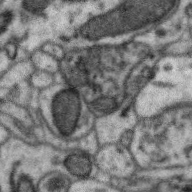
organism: Zebra finch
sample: Brain